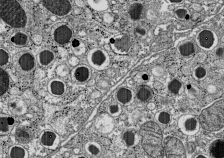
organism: C57BL Mouse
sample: Pancreatic islet